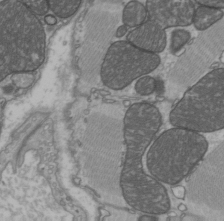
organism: C57BL Mouse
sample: Heart